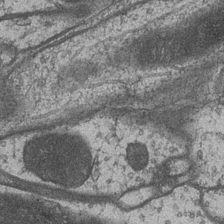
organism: Drosophila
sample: Optic medulla